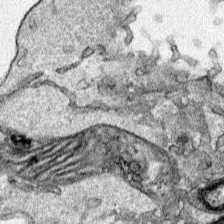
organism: Human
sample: Mitochondria in HCT116 cells